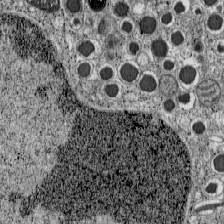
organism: C57BL Mouse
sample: Pancreatic islet